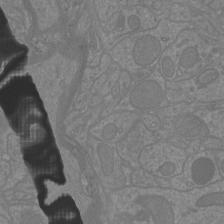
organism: Mouse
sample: Cortical neurons